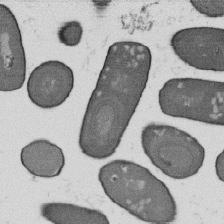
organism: B. subtilis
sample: Bacterial spore